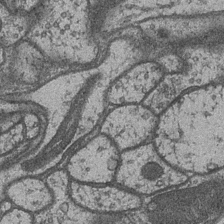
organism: Drosophila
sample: Optic medulla